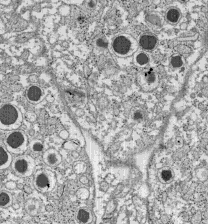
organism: C57BL Mouse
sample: Pancreatic islet